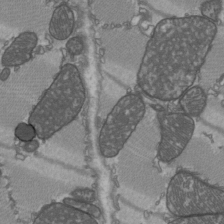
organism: C57BL Mouse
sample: Heart